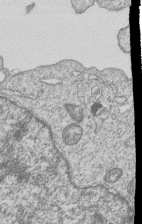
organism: Human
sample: MDA-MB-231 cells